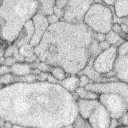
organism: Rabbit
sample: Retina